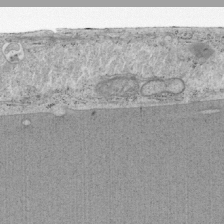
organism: Human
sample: HeLa cells